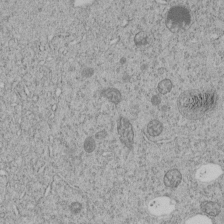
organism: C. elegans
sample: C. elegans embryo early stage